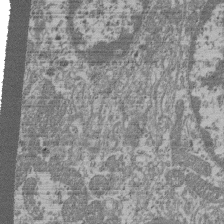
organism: Mouse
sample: Glomerulus